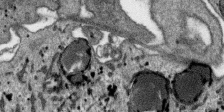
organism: Human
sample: Lung epithelial cells, uninfected (mock) control